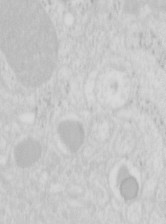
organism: Mouse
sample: Pancreas